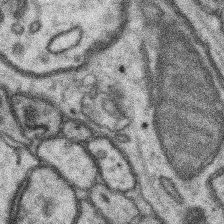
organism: Mouse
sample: Somatosensory cortex neuropil